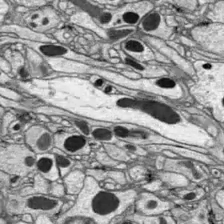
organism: Drosophila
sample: Optic lobe